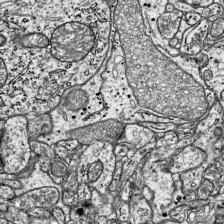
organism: Mouse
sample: Visual Cortex